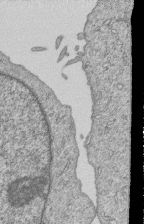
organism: Human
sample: MDA-MB-231 cells